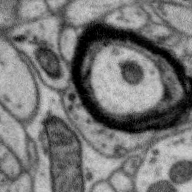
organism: Zebra finch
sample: Brain